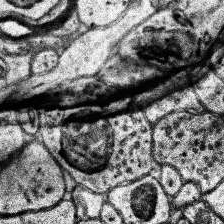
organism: Human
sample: Temporal Lobe